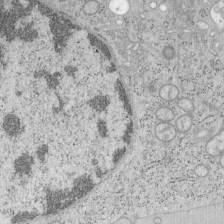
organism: Mouse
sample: OT-I killer T cells with ID8 ovarian cancer cells